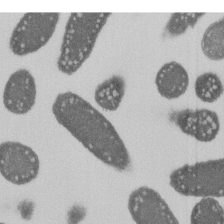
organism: E. coli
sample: Bacterial nucleoid